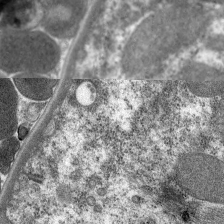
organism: C. elegans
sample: Pharynx